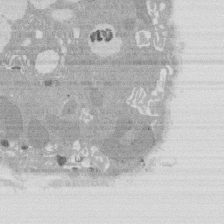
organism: Rat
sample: Salivary granule